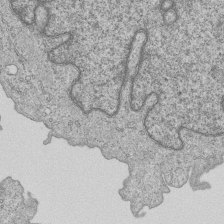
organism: Human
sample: MDA-MB-231 cells